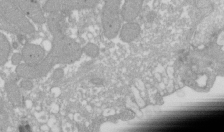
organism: Xenopus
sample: Cilia; centrioles in frog embryo cells